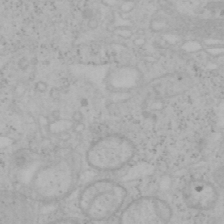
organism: Mouse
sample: OT-I killer T cells with ID8 ovarian cancer cells